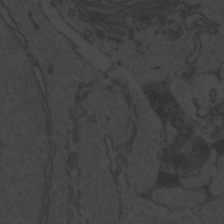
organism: Zebrafish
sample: Macrophage infected with Toxoplasma gondii